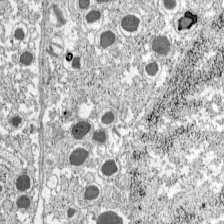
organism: C57BL Mouse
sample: Pancreatic islet